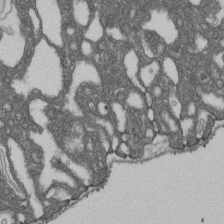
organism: Drosophila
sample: Nephrocyte